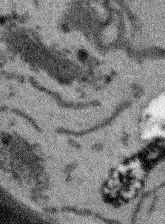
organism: Arabidopsis thaliana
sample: Root tip